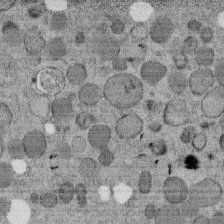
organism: C. elegans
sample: C. elegans embryo early stage